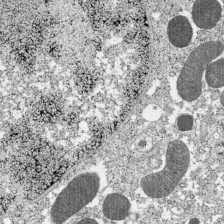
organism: C57BL Mouse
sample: Pancreatic islet